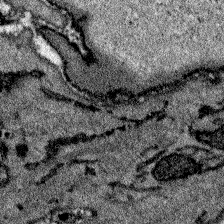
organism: Zebrafish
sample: Larval olfactory bulb